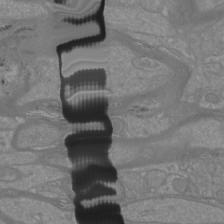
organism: Mouse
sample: Cortical neurons